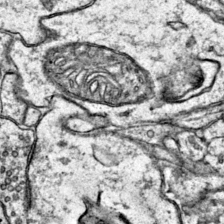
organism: Mouse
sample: Primary visual cortex